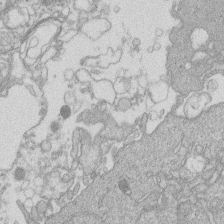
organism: Human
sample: Macrophage cells